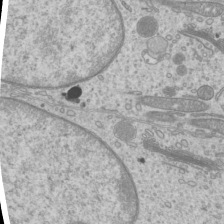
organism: Mouse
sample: Cilia; mouse epididymis